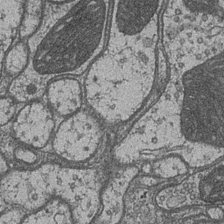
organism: Drosophila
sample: Optic medulla